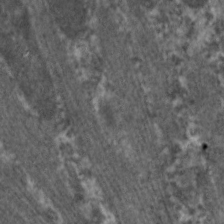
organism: C. elegans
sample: Pharynx